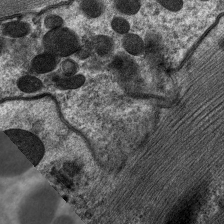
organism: C. elegans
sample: Pharynx